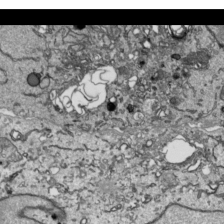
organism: Human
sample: Mitochondria in HCT116 cells